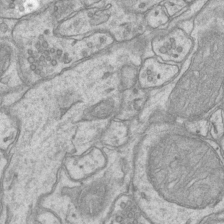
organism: Mouse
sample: CA1 Hippocampus